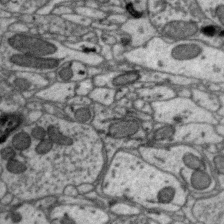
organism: Zebra finch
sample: Brain